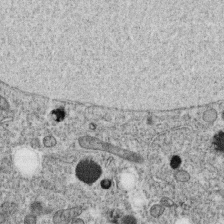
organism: C. elegans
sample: C. elegans oocyte; sperm cells